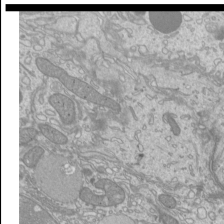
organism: Mouse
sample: Cilia; mouse epididymis